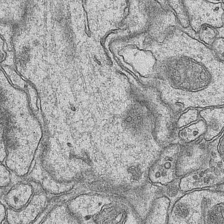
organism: Mouse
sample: CA1 Hippocampus